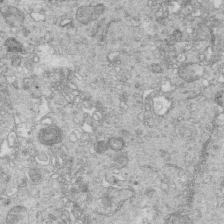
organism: Mouse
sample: Multiciliated cells